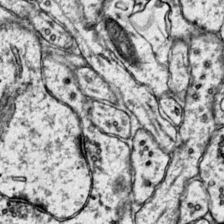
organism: Mouse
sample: Primary visual cortex